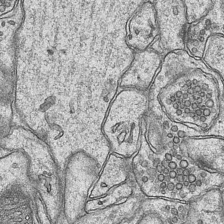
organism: Mouse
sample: CA1 Hippocampus